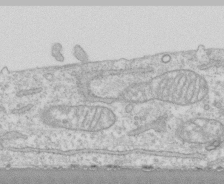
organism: Human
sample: CRL-1474